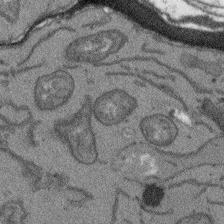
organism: Arabidopsis thaliana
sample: Root tip